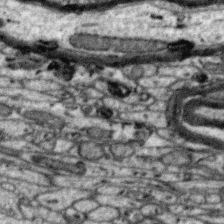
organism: Zebra finch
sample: Brain